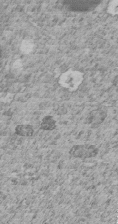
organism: C. elegans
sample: C. elegans embryo early stage